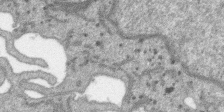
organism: Human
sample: Lung epithelial cells infected with SARS-CoV-2